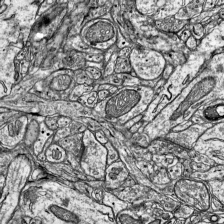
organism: Mouse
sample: Visual Cortex